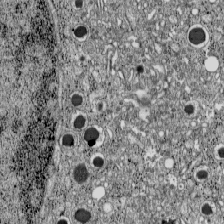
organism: C57BL Mouse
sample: Pancreatic islet